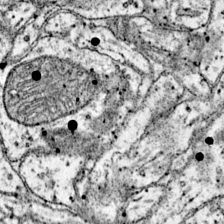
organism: Mouse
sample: Primary visual cortex